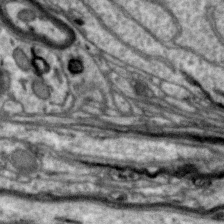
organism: Zebra finch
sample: Brain